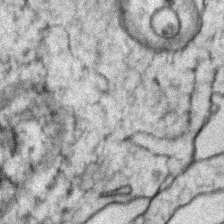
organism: Zebrafish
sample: Zebrafish embryo